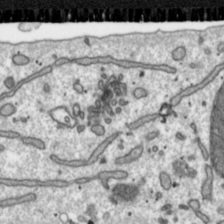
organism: Toxoplasma gondii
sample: Parasites in a vacuole inside a host cell